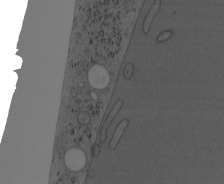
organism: Mouse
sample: OT-I killer T cells with ID8 ovarian cancer cells